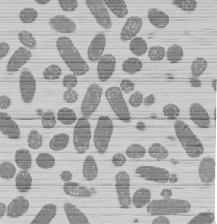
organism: E. coli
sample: Bacterial nucleoid